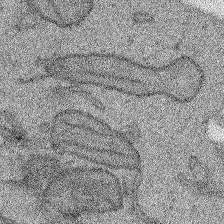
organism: Human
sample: HeLa cells